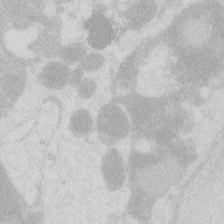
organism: Zebrafish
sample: Macrophage